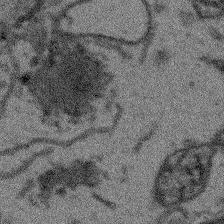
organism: Arabidopsis thaliana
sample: Root tip